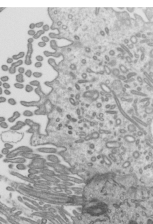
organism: Mouse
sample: Mouse epididymis efferent ductule cilia